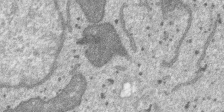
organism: Human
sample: Lung epithelial cells infected with SARS-CoV-2